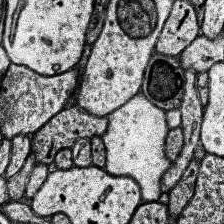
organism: Human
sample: Temporal Lobe